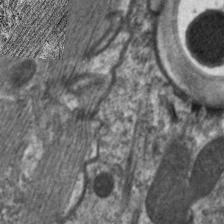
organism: C. elegans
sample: Pharynx